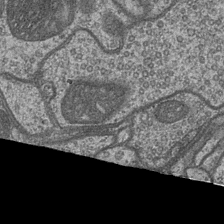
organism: Drosophila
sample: Optic medulla